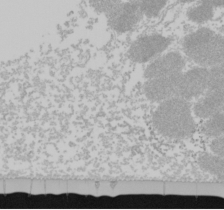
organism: Mouse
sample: Cancer cell death in ED-1 cells